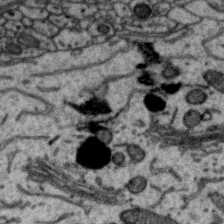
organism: Zebra finch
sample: Brain